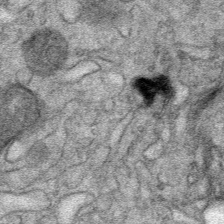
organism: Mouse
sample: Mouse Salivary gland